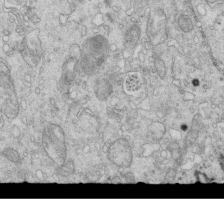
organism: Mouse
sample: Multiciliated cells